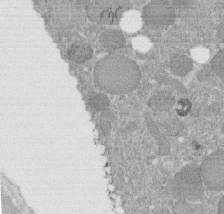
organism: C. elegans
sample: C. elegans embryo early stage